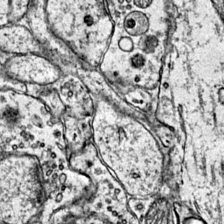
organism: Mouse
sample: Primary visual cortex